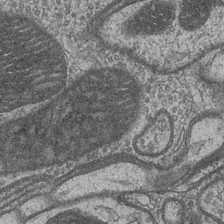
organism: Drosophila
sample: Optic medulla